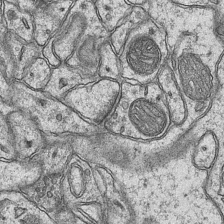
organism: Mouse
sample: CA1 Hippocampus